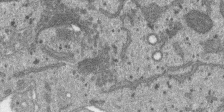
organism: Human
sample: Lung epithelial cells infected with SARS-CoV-2